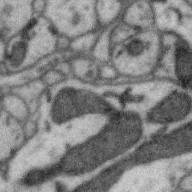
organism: Zebra finch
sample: Brain